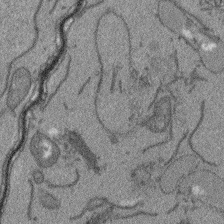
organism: Arabidopsis thaliana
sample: Root tip